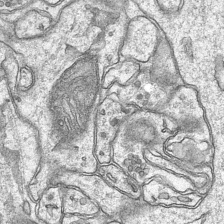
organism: Mouse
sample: CA1 Hippocampus